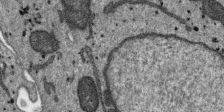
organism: Human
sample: Lung epithelial cells, uninfected (mock) control